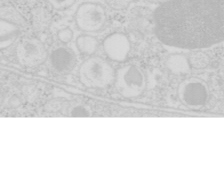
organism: Mouse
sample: Pancreas